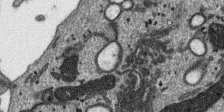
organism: Human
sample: Lung epithelial cells infected with SARS-CoV-2